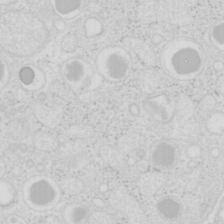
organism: Mouse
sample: Pancreas